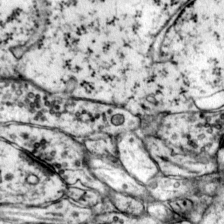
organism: Mouse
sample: Primary visual cortex